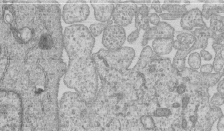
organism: Human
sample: MDA-MB-231 cells